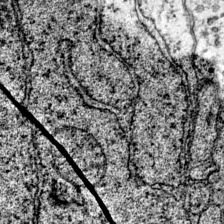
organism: Mouse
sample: Primary visual cortex